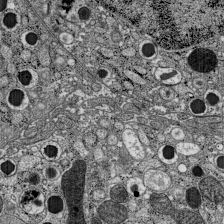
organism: C57BL Mouse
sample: Pancreatic islet